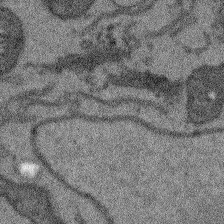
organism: Arabidopsis thaliana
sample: Root tip